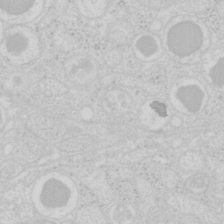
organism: Mouse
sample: Pancreas